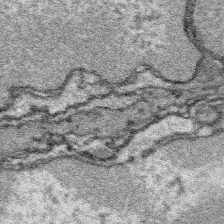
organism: Platynereis dumerilii